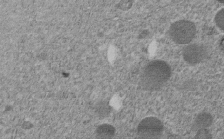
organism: C. elegans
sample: C. elegans embryo early stage